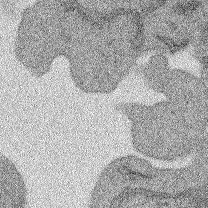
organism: Human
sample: HeLa cells